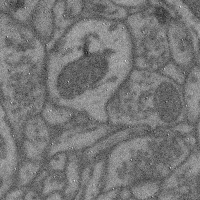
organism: Mouse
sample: Cerebral cortex